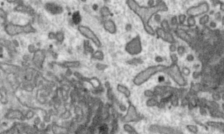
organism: Toxoplasma gondii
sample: Parasites in a vacuole inside a host cell